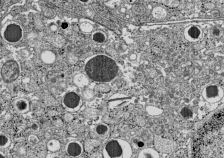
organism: C57BL Mouse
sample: Pancreatic islet